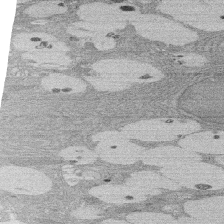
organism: Rat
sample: Salivary granule